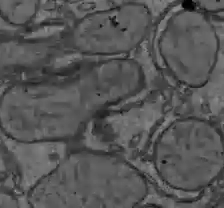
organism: C57BL Mouse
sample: Liver